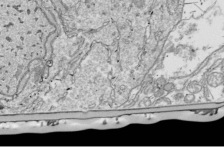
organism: Drosophila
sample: Cell division; meiosis; drosophila spermatocytes